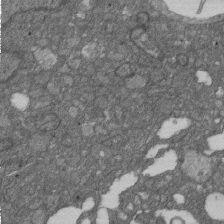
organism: Drosophila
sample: Nephrocyte